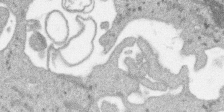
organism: Human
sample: Lung epithelial cells infected with SARS-CoV-2